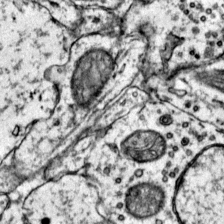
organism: Mouse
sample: Primary visual cortex